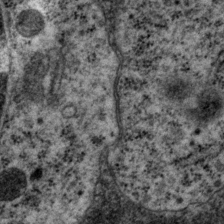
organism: P. pacificus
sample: Pharynx